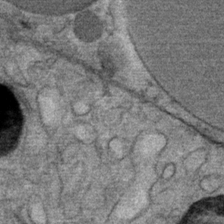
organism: Mouse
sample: Mouse Salivary gland